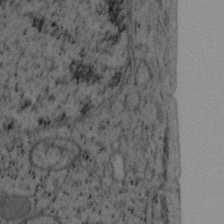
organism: Human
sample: HeLa cells